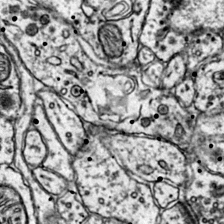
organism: Mouse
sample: Primary visual cortex